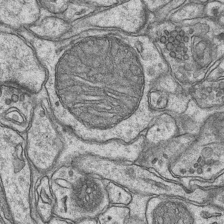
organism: Mouse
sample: CA1 Hippocampus